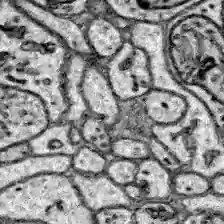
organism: Zebrafish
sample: Brain